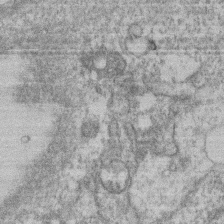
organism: Mouse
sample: T cell stromal cell synapse